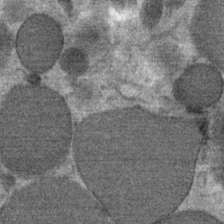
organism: Mouse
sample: Mouse Salivary gland